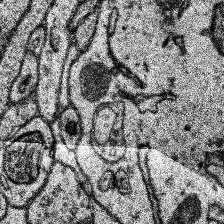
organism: Human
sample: Temporal Lobe